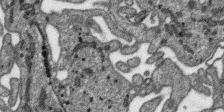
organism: Human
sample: Lung epithelial cells infected with SARS-CoV-2